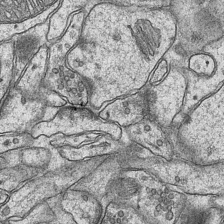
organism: Mouse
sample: CA1 Hippocampus